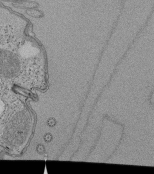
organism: Tetrahymena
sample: Cilia in tetrahymena